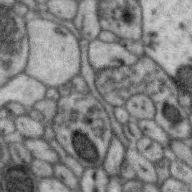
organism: Zebra finch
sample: Brain